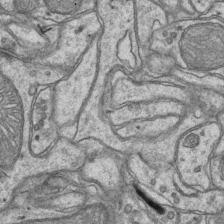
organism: Mouse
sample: CA1 Hippocampus